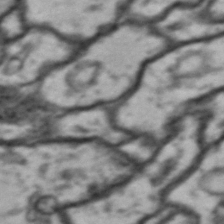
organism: Drosophila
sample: Brain